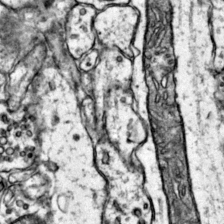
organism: Mouse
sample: Primary visual cortex